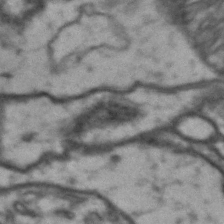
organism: Drosophila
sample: Brain